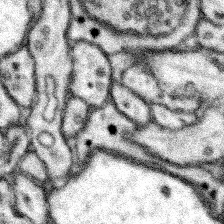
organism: Mouse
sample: Somatosensory cortex neuropil